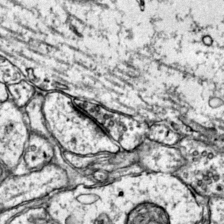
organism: Mouse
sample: Primary visual cortex